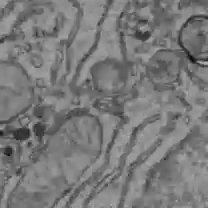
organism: C57BL Mouse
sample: Liver